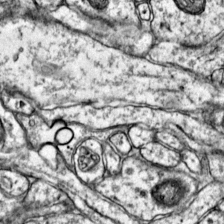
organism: Mouse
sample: Primary visual cortex